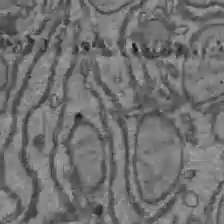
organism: C57BL Mouse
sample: Liver